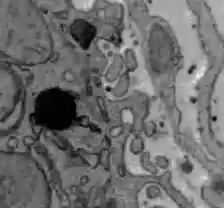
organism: C57BL Mouse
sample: Liver